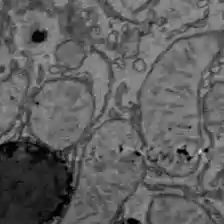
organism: C57BL Mouse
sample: Liver